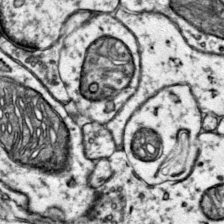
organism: Mouse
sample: Primary visual cortex